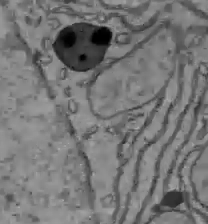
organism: C57BL Mouse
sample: Liver